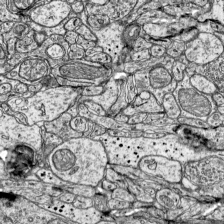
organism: Mouse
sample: Visual Cortex